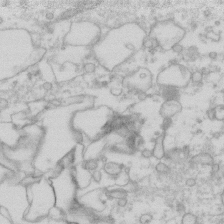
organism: Human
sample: Fibroblast cells